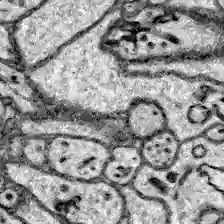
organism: Zebrafish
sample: Brain